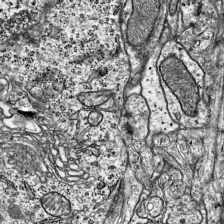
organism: Mouse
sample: Visual Cortex